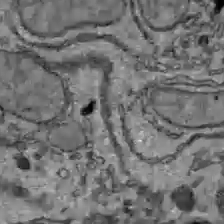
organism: C57BL Mouse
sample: Liver